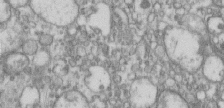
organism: Human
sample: Centriole in RPE cells